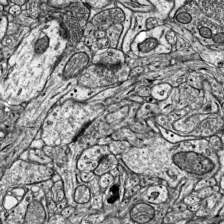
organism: Mouse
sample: Visual Cortex